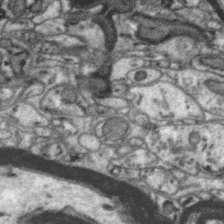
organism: Zebra finch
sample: Brain